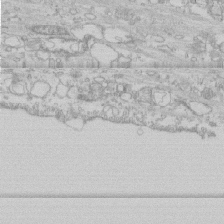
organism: Human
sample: CRL-1474